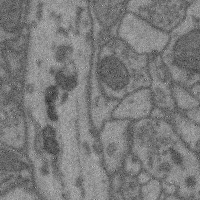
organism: Mouse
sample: Cerebral cortex